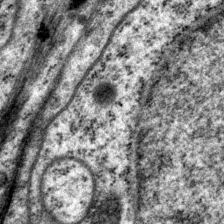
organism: P. pacificus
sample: Pharynx